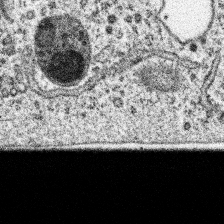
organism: Human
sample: HeLa cells